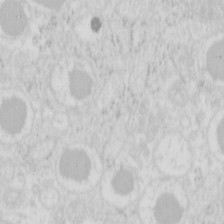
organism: Mouse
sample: Pancreas